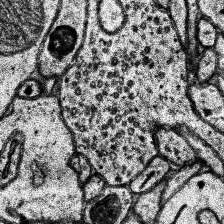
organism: Human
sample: Temporal Lobe